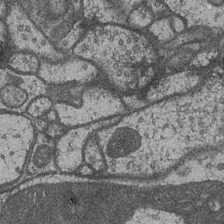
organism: Drosophila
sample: Optic medulla